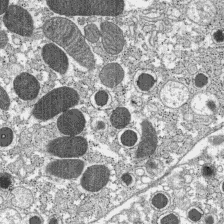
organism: C57BL Mouse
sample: Pancreatic islet